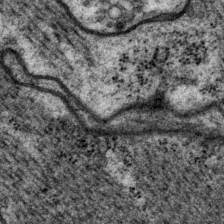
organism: P. pacificus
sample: Pharynx